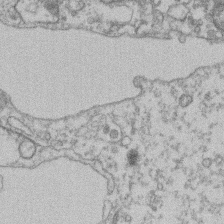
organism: Mouse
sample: T cell stromal cell synapse